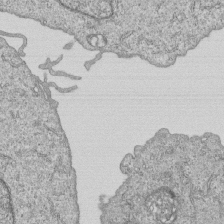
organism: Human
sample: MDA-MB-231 cells